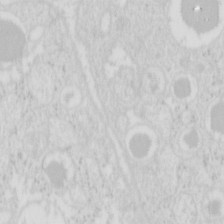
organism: Mouse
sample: Pancreas